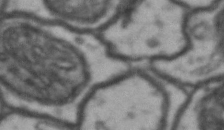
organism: Drosophila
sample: Brain